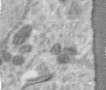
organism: Human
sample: Centriole in RPE cells